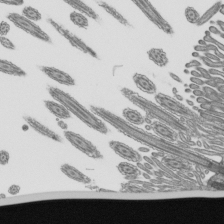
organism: Mouse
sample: Mouse epididymis efferent ductule cilia